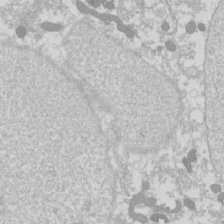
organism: Drosophila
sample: Cell division; meiosis; drosophila spermatocytes